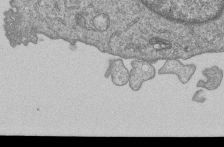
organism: Human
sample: MDA-MB-231 cells